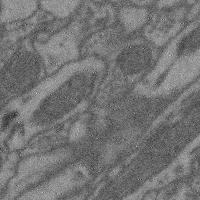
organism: Mouse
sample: Cerebral cortex